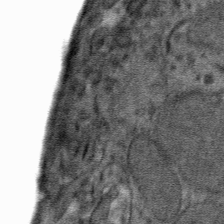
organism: Mouse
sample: Mouse hepatocytes